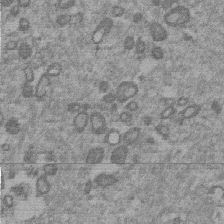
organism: Mouse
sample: Dividing mouse embryo 1 cell stage